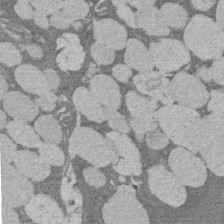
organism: Rat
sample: Salivary granule